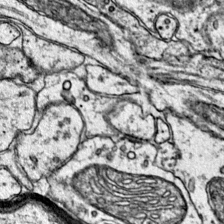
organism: Mouse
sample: Primary visual cortex